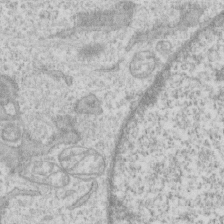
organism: Human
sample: CRL-1474